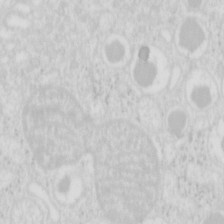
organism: Mouse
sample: Pancreas